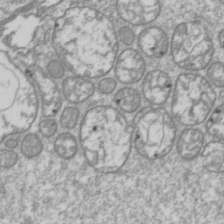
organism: Drosophila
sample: Cell division; meiosis; drosophila spermatocytes